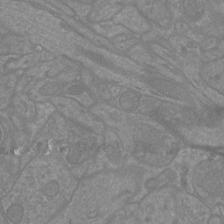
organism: Mouse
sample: Cortical neurons